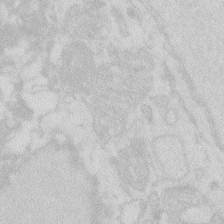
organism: Zebrafish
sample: Macrophage